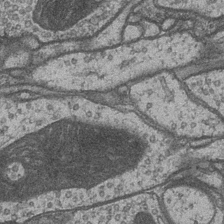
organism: Drosophila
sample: Optic medulla